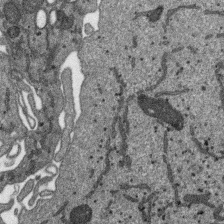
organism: Human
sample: Lung epithelial cells infected with SARS-CoV-2